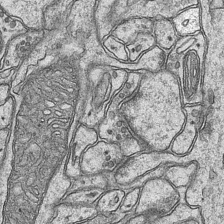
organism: Mouse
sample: CA1 Hippocampus